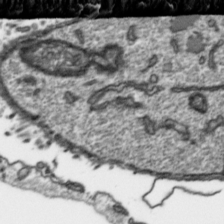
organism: Toxoplasma gondii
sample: Parasites in a vacuole inside a host cell